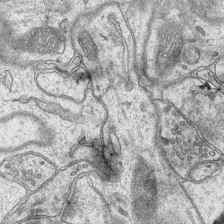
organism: Mouse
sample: CA1 Hippocampus